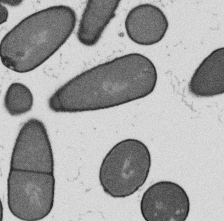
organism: B. subtilis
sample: Bacterial spore